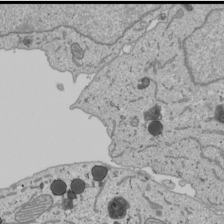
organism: Human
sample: Mitochondria in U2OS cells